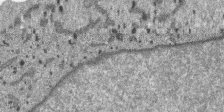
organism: Human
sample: Lung epithelial cells infected with SARS-CoV-2